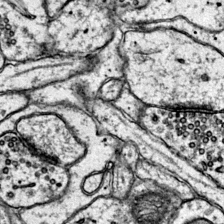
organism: Mouse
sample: Primary visual cortex